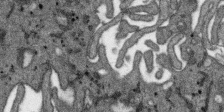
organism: Human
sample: Lung epithelial cells, uninfected (mock) control